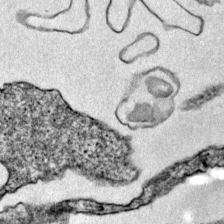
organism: Mouse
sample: Primary visual cortex